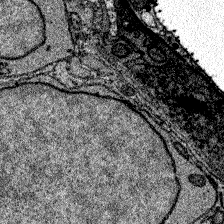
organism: Zebrafish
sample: Larval olfactory bulb